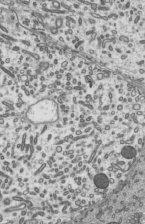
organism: Mouse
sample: Mouse epididymis efferent ductule cilia